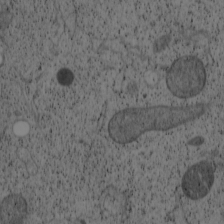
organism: African green monkey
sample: COS-7 cells